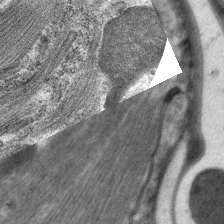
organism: C. elegans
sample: Pharynx